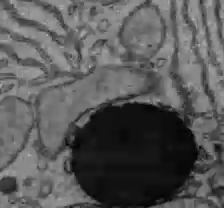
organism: C57BL Mouse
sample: Liver